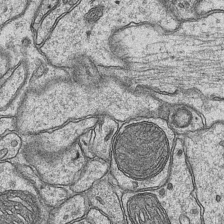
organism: Mouse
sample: CA1 Hippocampus